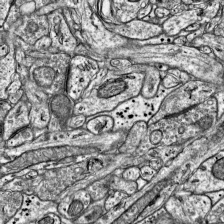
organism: Mouse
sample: Visual Cortex